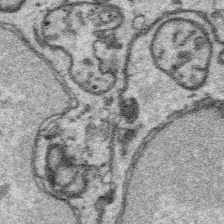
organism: Platynereis dumerilii